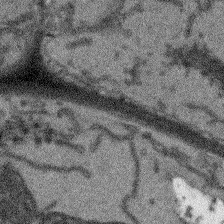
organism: Arabidopsis thaliana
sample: Root tip